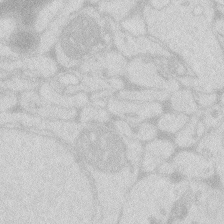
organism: Zebrafish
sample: Macrophage